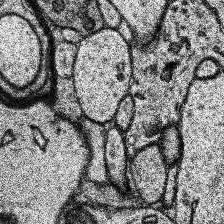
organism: Human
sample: Temporal Lobe